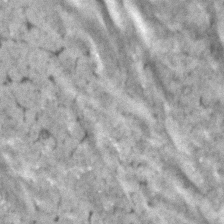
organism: Human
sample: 1205lu cells